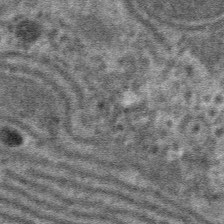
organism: Mouse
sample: Mouse hepatocytes